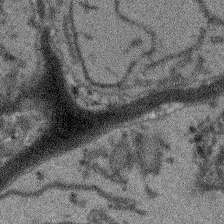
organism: Arabidopsis thaliana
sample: Root tip